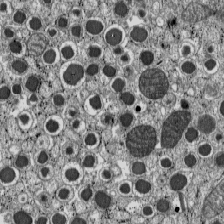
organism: C57BL Mouse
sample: Pancreatic islet